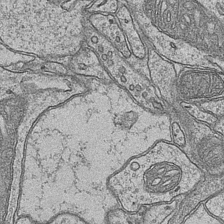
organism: Mouse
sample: CA1 Hippocampus